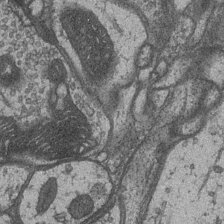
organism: Drosophila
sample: Optic medulla